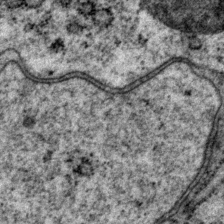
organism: P. pacificus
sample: Pharynx